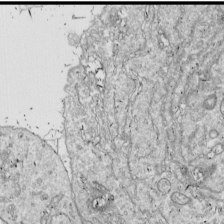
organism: Drosophila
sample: Cell division; meiosis; drosophila spermatocytes